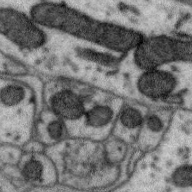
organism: Zebra finch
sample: Brain